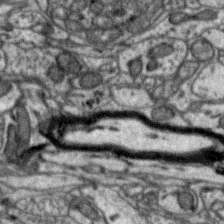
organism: Zebra finch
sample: Brain